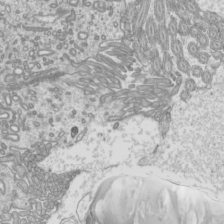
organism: Mouse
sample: Cilia; mouse epididymis